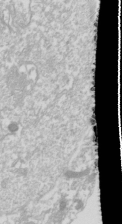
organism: Drosophila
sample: Cell division; meiosis; drosophila spermatocytes